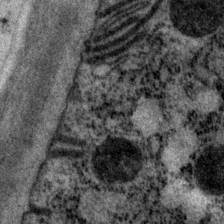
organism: P. pacificus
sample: Pharynx